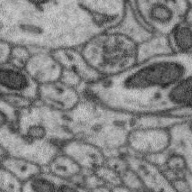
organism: Zebra finch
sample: Brain